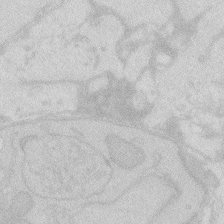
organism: Zebrafish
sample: Macrophage